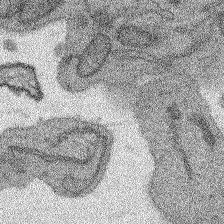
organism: Human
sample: HeLa cells